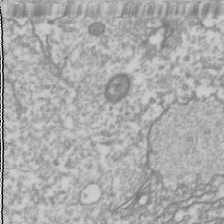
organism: Drosophila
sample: Cell division; meiosis; drosophila spermatocytes